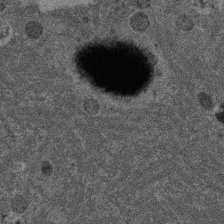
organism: Mouse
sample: Dividing mouse embryo 1 cell stage